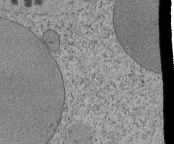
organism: Tetrahymena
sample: Cilia in tetrahymena